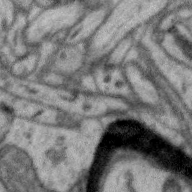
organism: Zebra finch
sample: Brain